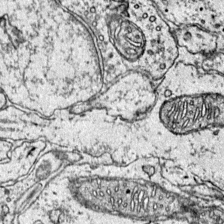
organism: Mouse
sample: Primary visual cortex